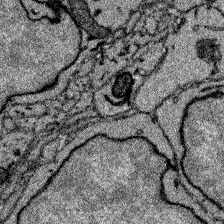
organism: Zebrafish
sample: Larval olfactory bulb